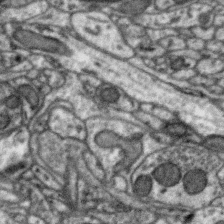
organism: Zebra finch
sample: Brain